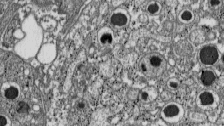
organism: C57BL Mouse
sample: Pancreatic islet